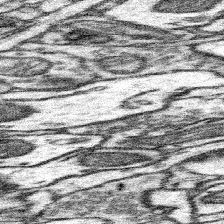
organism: Mouse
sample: Somatosensory cortex neuropil